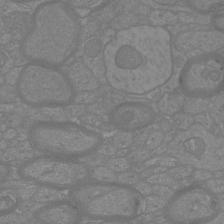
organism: Mouse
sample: Cortical neurons